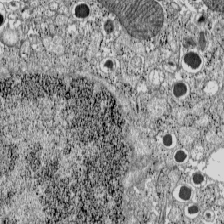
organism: C57BL Mouse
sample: Pancreatic islet